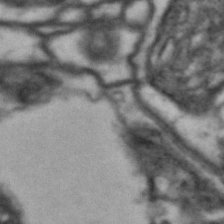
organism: Drosophila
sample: Brain